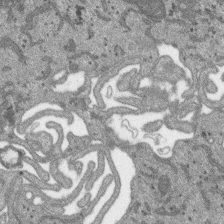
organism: Human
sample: Lung epithelial cells infected with SARS-CoV-2